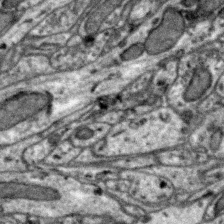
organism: Zebra finch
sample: Brain